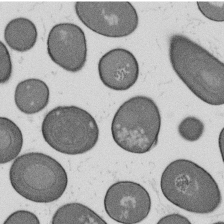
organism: B. subtilis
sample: Bacterial spore